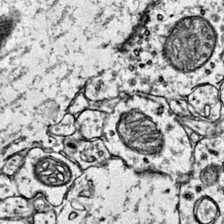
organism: Mouse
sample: Primary visual cortex